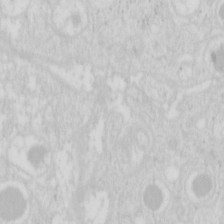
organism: Mouse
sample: Pancreas